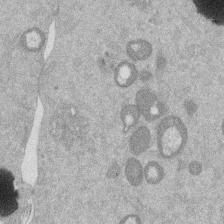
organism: Mouse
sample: Dividing mouse embryo 1 cell stage